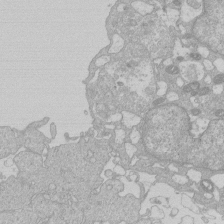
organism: Human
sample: Macrophage cells